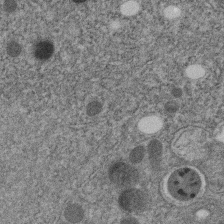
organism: C. elegans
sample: C. elegans embryo early stage